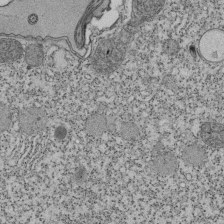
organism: Tetrahymena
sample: Cilia in tetrahymena